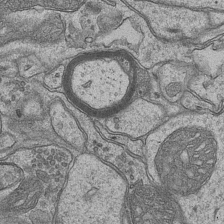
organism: Mouse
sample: CA1 Hippocampus